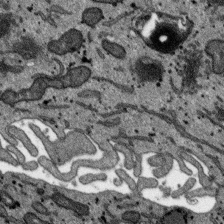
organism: Human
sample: Lung epithelial cells, uninfected (mock) control